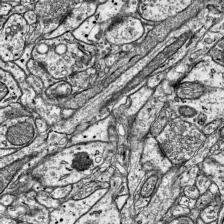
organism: Mouse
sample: Visual Cortex